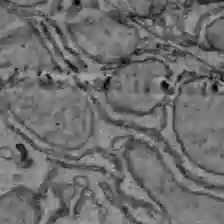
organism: C57BL Mouse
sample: Liver